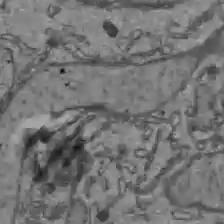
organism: C57BL Mouse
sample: Liver